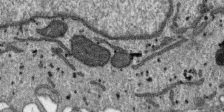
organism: Human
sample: Lung epithelial cells, uninfected (mock) control